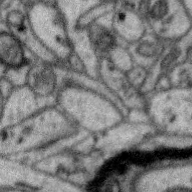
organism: Zebra finch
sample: Brain